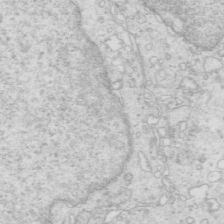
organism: Mouse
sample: Multiciliated cells